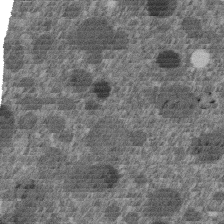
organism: C. elegans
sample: C. elegans embryo early stage